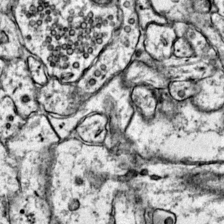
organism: Mouse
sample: Primary visual cortex